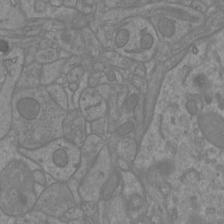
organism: Mouse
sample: Cortical neurons